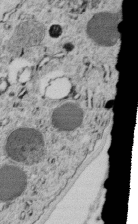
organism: C. elegans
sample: C. elegans embryo early stage